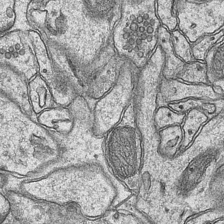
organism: Mouse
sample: CA1 Hippocampus